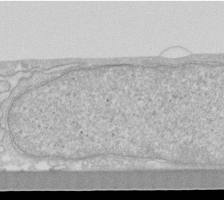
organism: Human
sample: Fibroblast cells